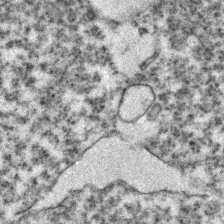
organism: Zebrafish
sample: Zebrafish embryo